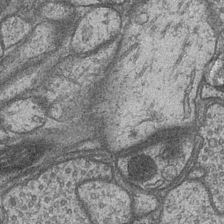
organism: Drosophila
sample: Optic medulla